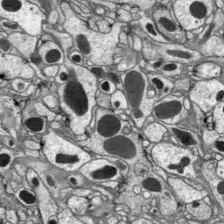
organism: Drosophila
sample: Optic lobe